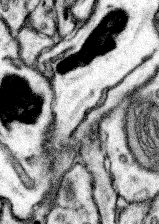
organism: Mouse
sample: Somatosensory cortex neuropil